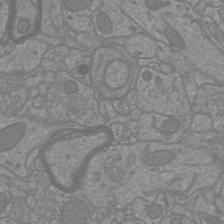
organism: Mouse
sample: Cortical neurons